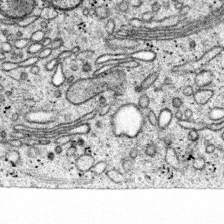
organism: Human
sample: HeLa cells